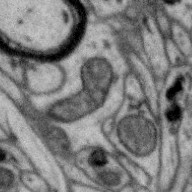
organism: Zebra finch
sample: Brain